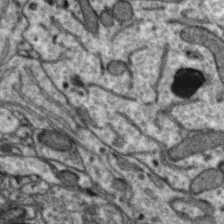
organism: Zebra finch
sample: Brain